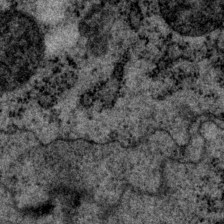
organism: P. pacificus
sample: Pharynx